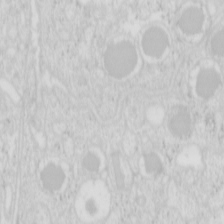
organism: Mouse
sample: Pancreas